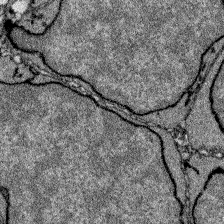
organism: Zebrafish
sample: Larval olfactory bulb